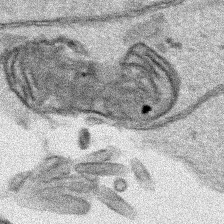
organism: Human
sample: Mitochondria in HCT116 cells